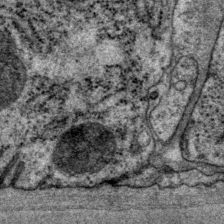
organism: P. pacificus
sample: Pharynx